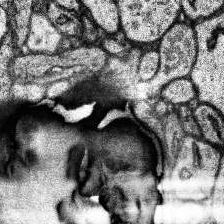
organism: Human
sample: Temporal Lobe